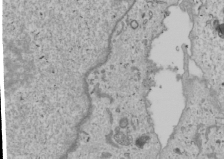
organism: Human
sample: Mitochondria in U2OS cells